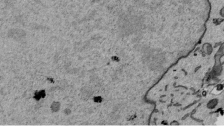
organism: Mouse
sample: ED-1 cell nuclei; centrioles